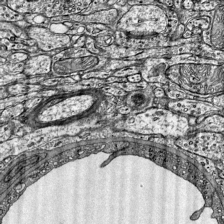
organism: Mouse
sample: Visual Cortex